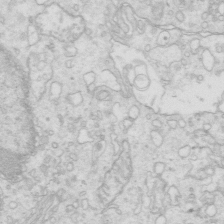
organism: Mouse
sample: Multiciliated cells